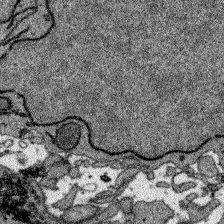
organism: Zebrafish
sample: Larval olfactory bulb